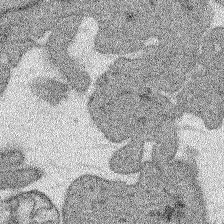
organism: Human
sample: HeLa cells